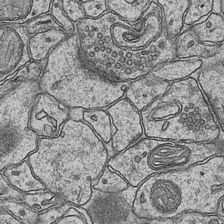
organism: Mouse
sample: CA1 Hippocampus